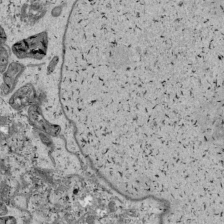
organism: Human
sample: Mitochondria in HCT116 cells